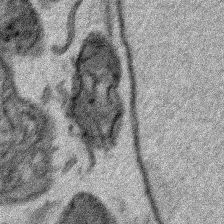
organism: Human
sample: Mitochondria in HCT116 cells